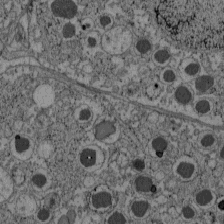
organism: C57BL Mouse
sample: Pancreatic islet